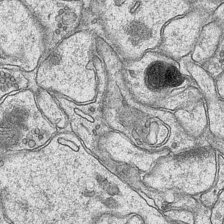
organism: Mouse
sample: CA1 Hippocampus